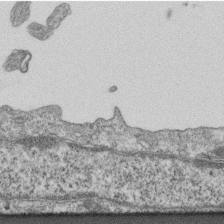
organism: Mouse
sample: Centriole in ependymal cells